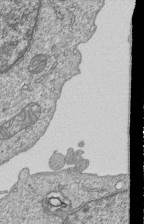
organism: Human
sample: MDA-MB-231 cells